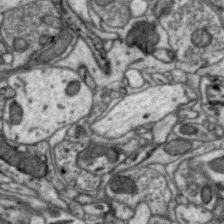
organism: Zebra finch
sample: Brain